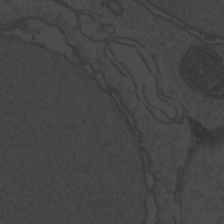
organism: Zebrafish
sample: Macrophage infected with Toxoplasma gondii